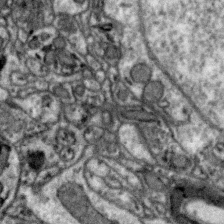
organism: Zebra finch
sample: Brain